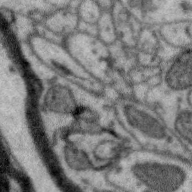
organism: Zebra finch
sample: Brain